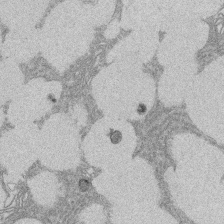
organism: Rat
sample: Salivary granule